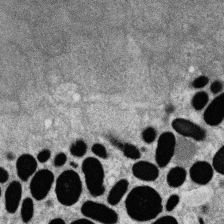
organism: Zebrafish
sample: Cilia; retinal pigment epithelium